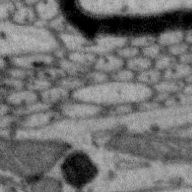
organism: Zebra finch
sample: Brain